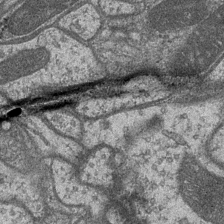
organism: Drosophila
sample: Optic medulla